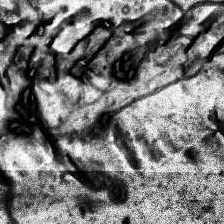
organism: Human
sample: Temporal Lobe